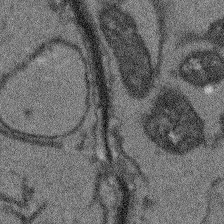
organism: Arabidopsis thaliana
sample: Root tip